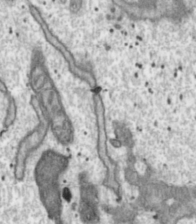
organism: Toxoplasma gondii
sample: Parasites in a vacuole inside a host cell